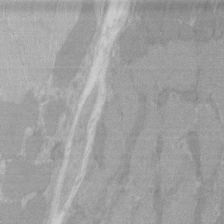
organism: C57BL Mouse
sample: Tibialis anterior muscle cell